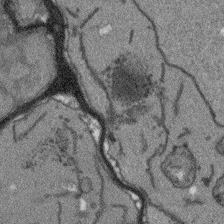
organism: Arabidopsis thaliana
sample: Root tip